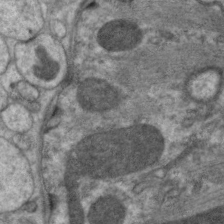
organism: C. elegans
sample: Pharynx